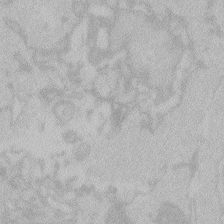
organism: Zebrafish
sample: Macrophage infected with Toxoplasma gondii